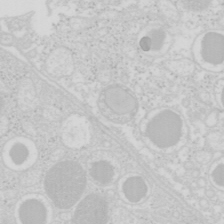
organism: Mouse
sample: Pancreas